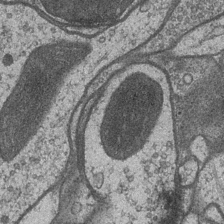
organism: Drosophila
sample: Optic medulla